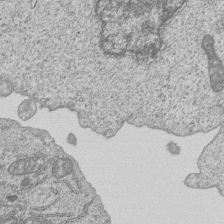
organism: Human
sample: MDA-MB-231 cells